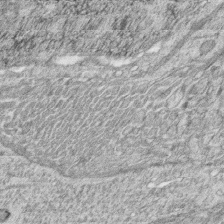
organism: Zebrafish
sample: synaptic ribbons in rod cells and cone cells